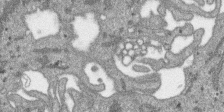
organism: Human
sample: Lung epithelial cells infected with SARS-CoV-2